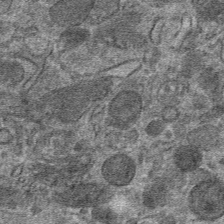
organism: Mouse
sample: Mouse hepatocytes